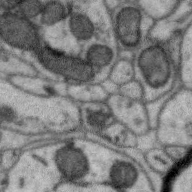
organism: Zebra finch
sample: Brain